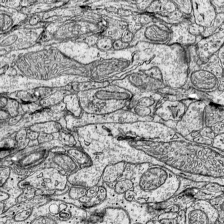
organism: Mouse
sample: Visual Cortex